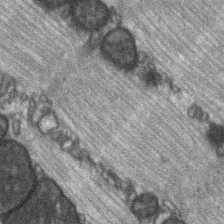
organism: C57BL Mouse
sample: Soleus